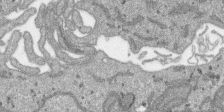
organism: Human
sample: Lung epithelial cells infected with SARS-CoV-2